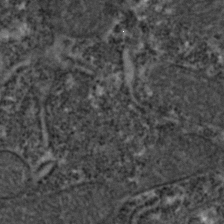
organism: Zebrafish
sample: Zebrafish embryo